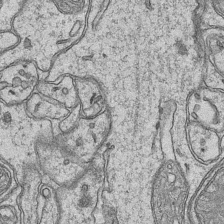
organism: Mouse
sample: CA1 Hippocampus